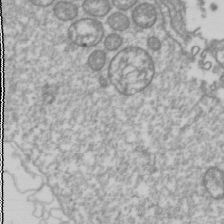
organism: Drosophila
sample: Cell division; meiosis; drosophila spermatocytes